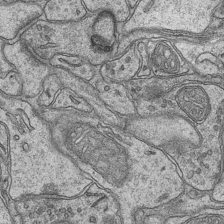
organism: Mouse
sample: CA1 Hippocampus